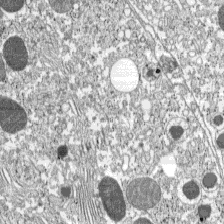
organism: C57BL Mouse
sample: Pancreatic islet